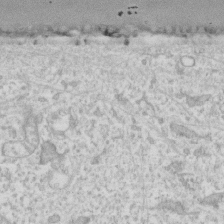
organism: Human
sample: Fibroblast cells